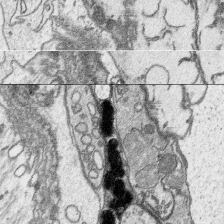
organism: Platynereis dumerilii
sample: Parapodia